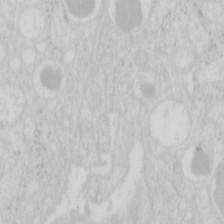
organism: Mouse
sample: Pancreas